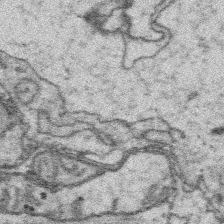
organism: Platynereis dumerilii